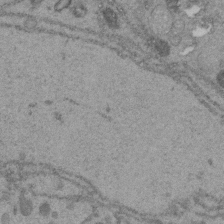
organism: C. elegans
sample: C. elegans embryo early stage